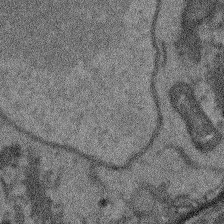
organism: Arabidopsis thaliana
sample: Root tip